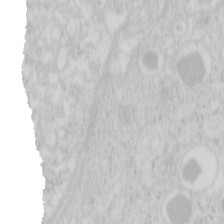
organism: Mouse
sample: Pancreas